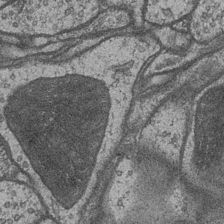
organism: Drosophila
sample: Optic medulla